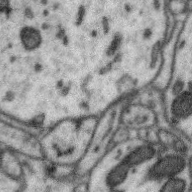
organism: Zebra finch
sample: Brain